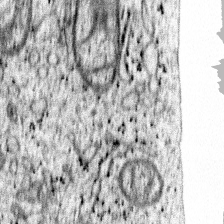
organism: Human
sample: HeLa cells